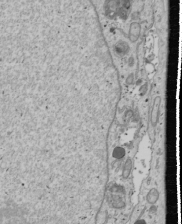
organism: Human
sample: Mitochondria in U2OS cells